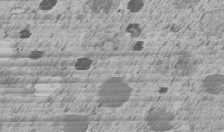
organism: C. elegans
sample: C. elegans embryo early stage